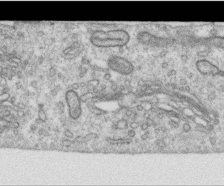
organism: Human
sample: Centriole in RPE cells